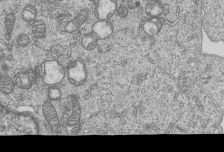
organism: Human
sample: MDA-MB-231 cells